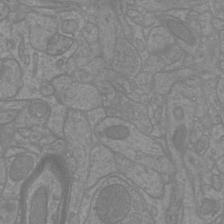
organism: Mouse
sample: Cortical neurons